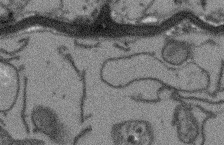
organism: Arabidopsis thaliana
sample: Root tip